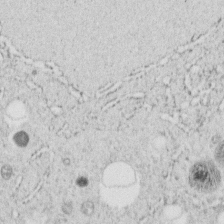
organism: C. elegans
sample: C. elegans embryo early stage